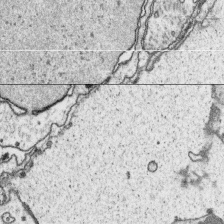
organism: Platynereis dumerilii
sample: Parapodia